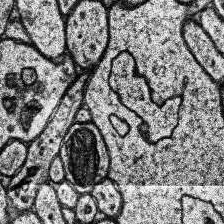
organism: Human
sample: Temporal Lobe